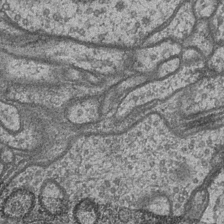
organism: Drosophila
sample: Optic medulla